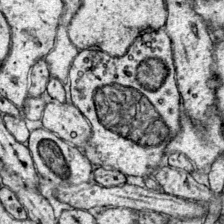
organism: Mouse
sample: Primary visual cortex